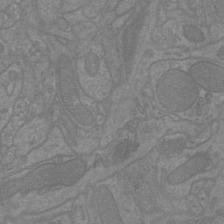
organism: Mouse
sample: Cortical neurons